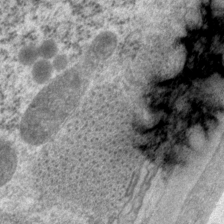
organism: P. pacificus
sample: Pharynx